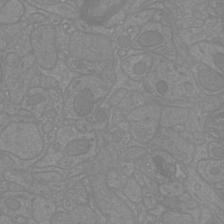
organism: Mouse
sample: Cortical neurons